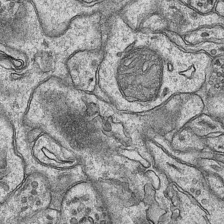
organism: Mouse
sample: CA1 Hippocampus